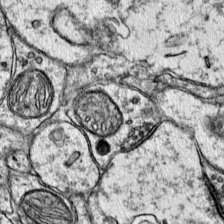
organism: Mouse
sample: Primary visual cortex